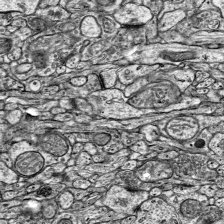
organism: Mouse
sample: Visual Cortex